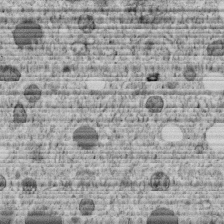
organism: C. elegans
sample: C. elegans embryo early stage